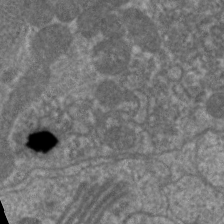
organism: C. elegans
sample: Pharynx